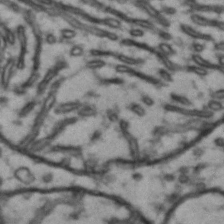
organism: Drosophila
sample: Brain